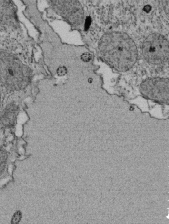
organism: Tetrahymena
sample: Cilia in tetrahymena